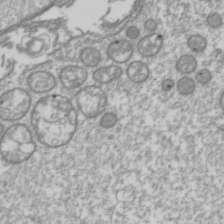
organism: Drosophila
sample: Cell division; meiosis; drosophila spermatocytes